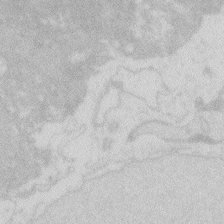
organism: Zebrafish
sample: Macrophage